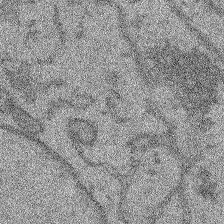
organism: Human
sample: HeLa cells